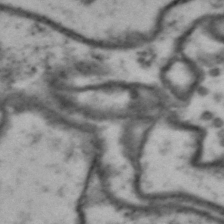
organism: Drosophila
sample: Brain